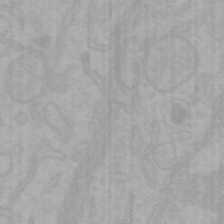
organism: Mouse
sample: Choroid plexus